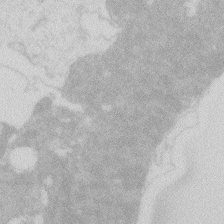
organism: Zebrafish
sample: Macrophage